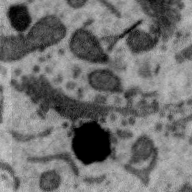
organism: Zebra finch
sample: Brain